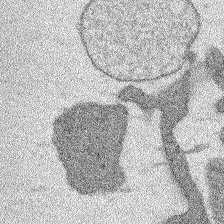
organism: Human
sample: HeLa cells